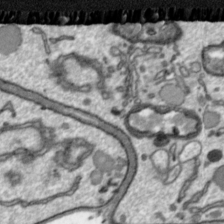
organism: Toxoplasma gondii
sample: Parasites in a vacuole inside a host cell